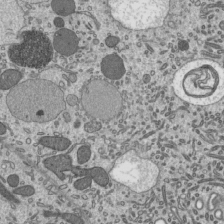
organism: Mouse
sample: Mouse epididymis efferent ductule cilia